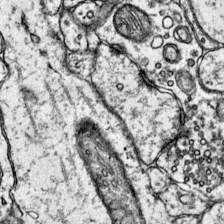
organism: Mouse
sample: Primary visual cortex